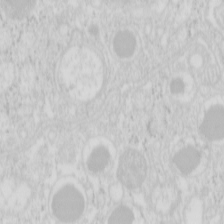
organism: Mouse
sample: Pancreas